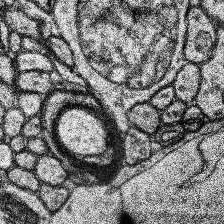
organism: Human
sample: Temporal Lobe